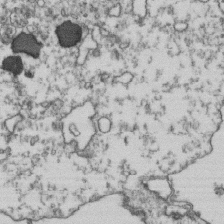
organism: Human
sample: Activated Jurkat CD4+ T cells